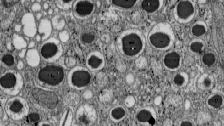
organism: C57BL Mouse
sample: Pancreatic islet